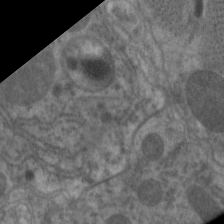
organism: C. elegans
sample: Pharynx